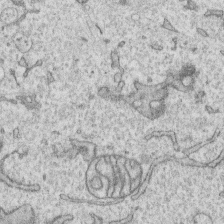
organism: Human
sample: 1205lu cells